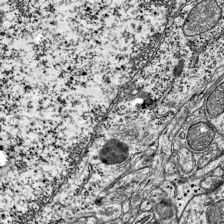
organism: Mouse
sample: Visual Cortex